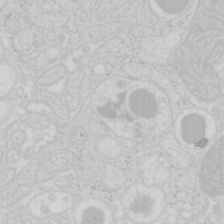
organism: Mouse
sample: Pancreas